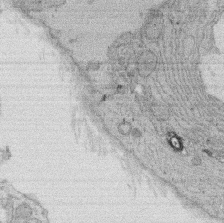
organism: Rat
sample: Salivary granule